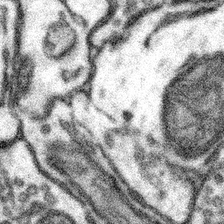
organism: Mouse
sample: Somatosensory cortex neuropil